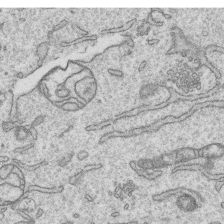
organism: Human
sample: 1205lu cells